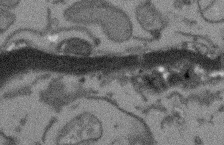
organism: Arabidopsis thaliana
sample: Root tip